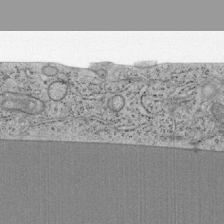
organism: Human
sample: HeLa cells